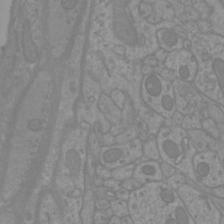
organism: Mouse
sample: Cortical neurons